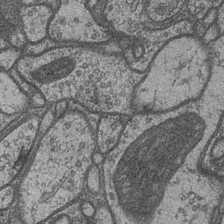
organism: Drosophila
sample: Optic medulla